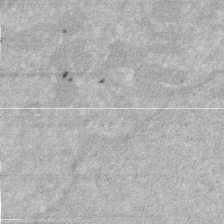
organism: Human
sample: HIV infected U937 cells